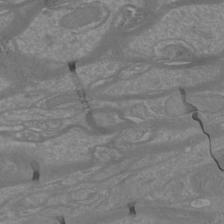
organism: Mouse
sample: Cortical neurons